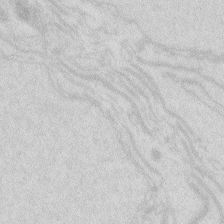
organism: Zebrafish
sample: Macrophage